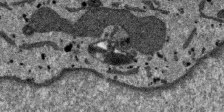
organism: Human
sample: Lung epithelial cells, uninfected (mock) control